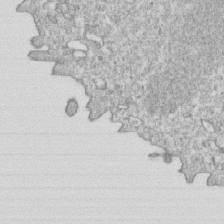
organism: Mouse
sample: Activated OT-1 CD8+ T cells